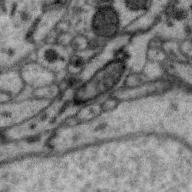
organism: Zebra finch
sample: Brain